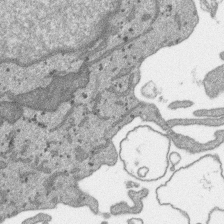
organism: Human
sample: Lung epithelial cells infected with SARS-CoV-2